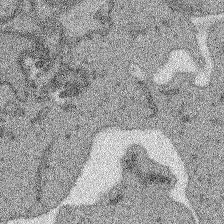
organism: Human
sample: HeLa cells